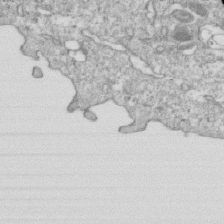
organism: Mouse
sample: Activated OT-1 CD8+ T cells